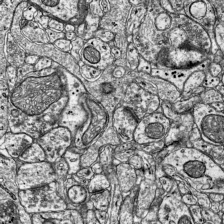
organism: Mouse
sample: Visual Cortex